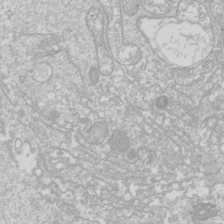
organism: Drosophila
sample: Cell division; meiosis; drosophila spermatocytes